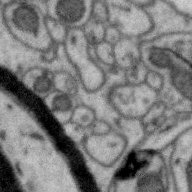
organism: Zebra finch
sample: Brain